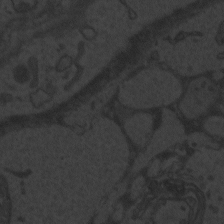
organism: Zebrafish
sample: Macrophage infected with Toxoplasma gondii